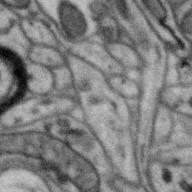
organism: Zebra finch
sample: Brain